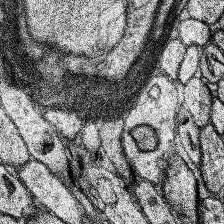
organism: Human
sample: Temporal Lobe